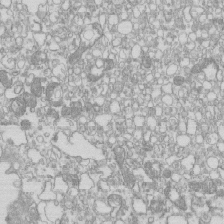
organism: Mouse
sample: Macrophages